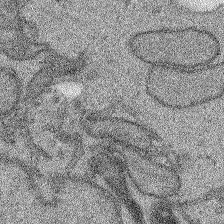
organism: Human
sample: HeLa cells